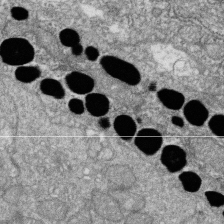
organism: Zebrafish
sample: Cilia; retinal pigment epithelium